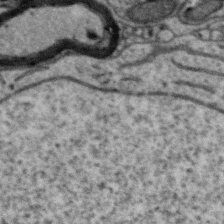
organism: Zebra finch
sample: Brain